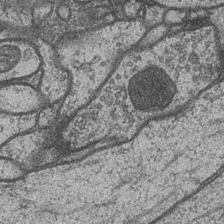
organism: Drosophila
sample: Optic medulla